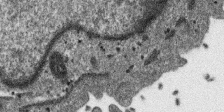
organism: Human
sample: Lung epithelial cells infected with SARS-CoV-2